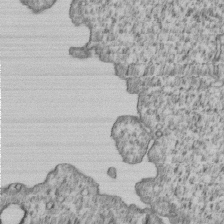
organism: Human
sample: MDA-MB-231 cells